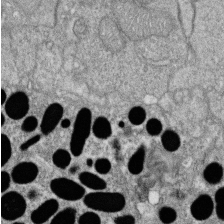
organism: Zebrafish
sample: Cilia; retinal pigment epithelium